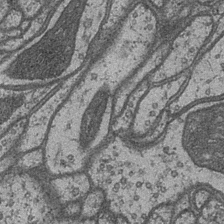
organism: Drosophila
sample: Optic medulla